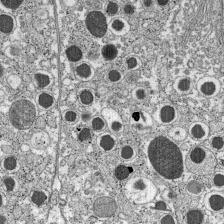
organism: C57BL Mouse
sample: Pancreatic islet